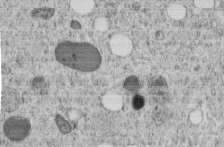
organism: C. elegans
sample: C. elegans embryo early stage